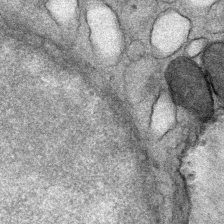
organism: Mouse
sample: Mouse Salivary gland